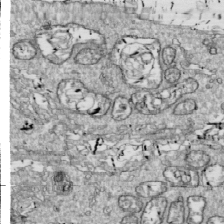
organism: Drosophila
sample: Cell division; meiosis; drosophila spermatocytes